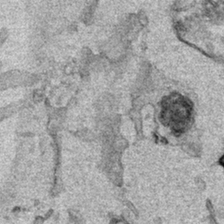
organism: Human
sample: Mitochondria in HCT116 cells